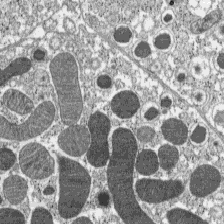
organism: C57BL Mouse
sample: Pancreatic islet